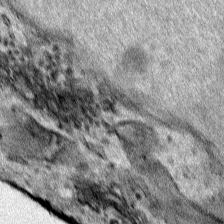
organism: Human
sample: Mitochondria in HCT116 cells